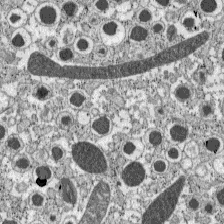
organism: C57BL Mouse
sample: Pancreatic islet